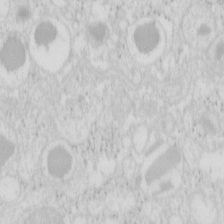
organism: Mouse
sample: Pancreas